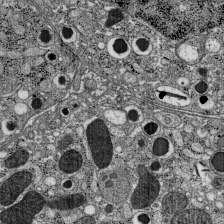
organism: C57BL Mouse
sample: Pancreatic islet